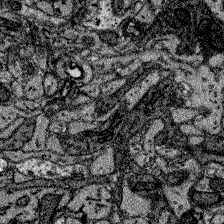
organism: Zebrafish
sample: Larval olfactory bulb